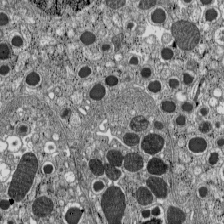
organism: C57BL Mouse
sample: Pancreatic islet